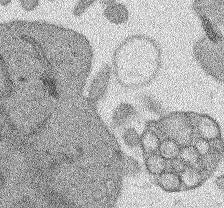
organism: Human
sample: HeLa cells